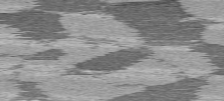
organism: C57BL Mouse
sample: Heart